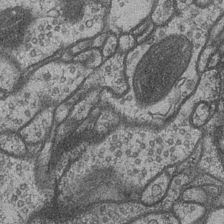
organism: Drosophila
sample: Optic medulla